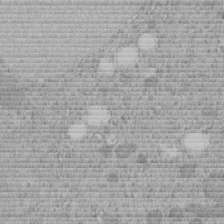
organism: C. elegans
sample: C. elegans embryo early stage